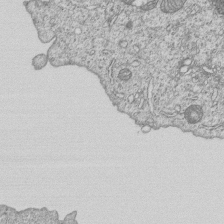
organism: Human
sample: MDA-MB-231 cells